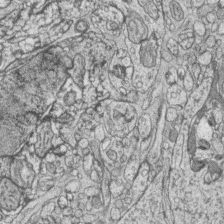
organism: Zebrafish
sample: synaptic ribbons in rod cells and cone cells